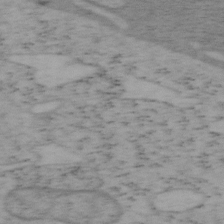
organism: Mouse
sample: OT-I killer T cells with ID8 ovarian cancer cells